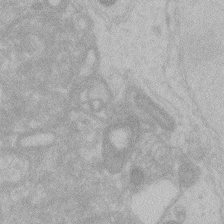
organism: Zebrafish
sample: Macrophage infected with Toxoplasma gondii